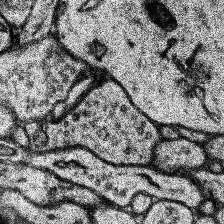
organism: Human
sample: Temporal Lobe